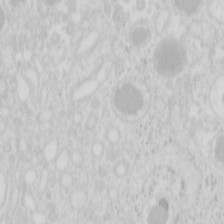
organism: Mouse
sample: Pancreas